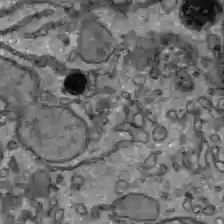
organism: C57BL Mouse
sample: Liver